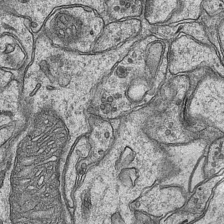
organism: Mouse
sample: CA1 Hippocampus